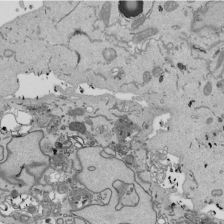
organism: Mouse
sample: ED-1 cell nuclei; centrioles